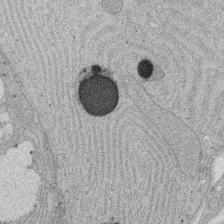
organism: Rat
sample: Salivary granule